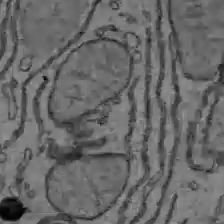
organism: C57BL Mouse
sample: Liver